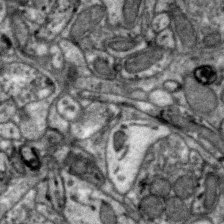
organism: Zebra finch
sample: Brain